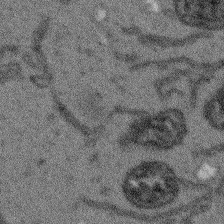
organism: Arabidopsis thaliana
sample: Root tip